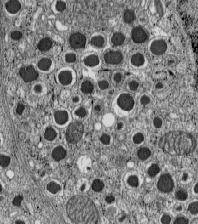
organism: C57BL Mouse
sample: Pancreatic islet